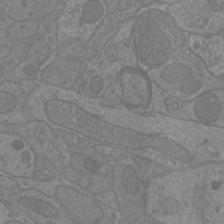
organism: Mouse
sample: Cortical neurons